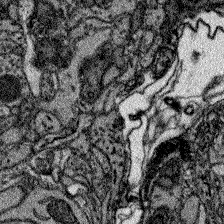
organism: Zebrafish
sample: Larval olfactory bulb